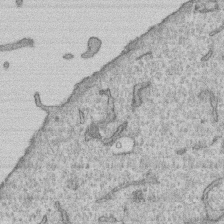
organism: Human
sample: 1205lu cells